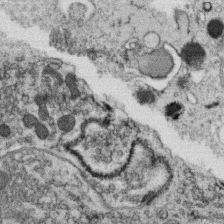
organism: C. elegans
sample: C. elegans oocyte; sperm cells